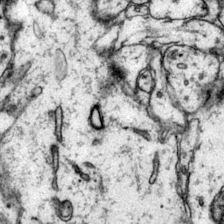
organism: Mouse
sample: Primary visual cortex